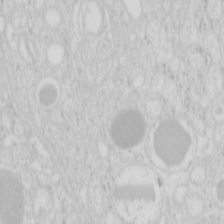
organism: Mouse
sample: Pancreas